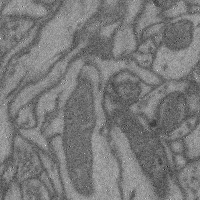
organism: Mouse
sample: Cerebral cortex